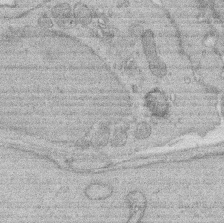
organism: Rat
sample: Salivary granule